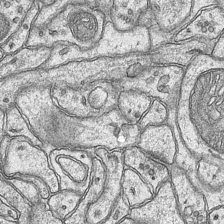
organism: Mouse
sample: CA1 Hippocampus